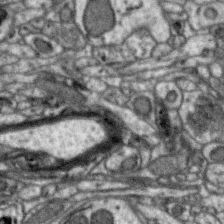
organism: Zebra finch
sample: Brain